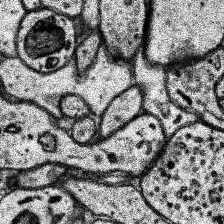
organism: Human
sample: Temporal Lobe